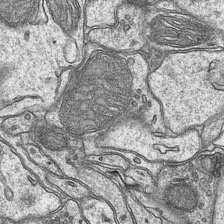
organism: Mouse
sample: CA1 Hippocampus